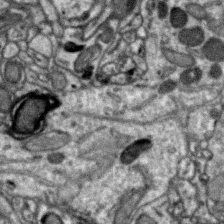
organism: Zebra finch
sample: Brain